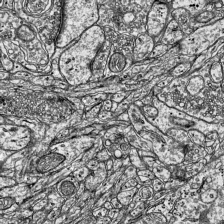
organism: Mouse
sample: Visual Cortex